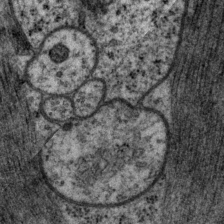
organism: P. pacificus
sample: Pharynx